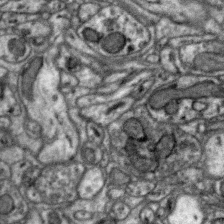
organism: Zebra finch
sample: Brain